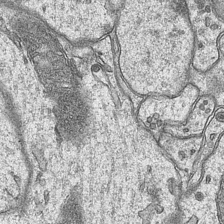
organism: Mouse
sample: CA1 Hippocampus